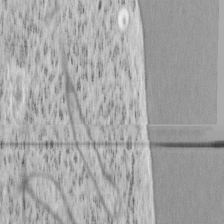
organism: Human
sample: HeLa cells